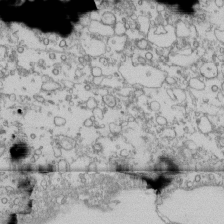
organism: Human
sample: Fibroblast cells